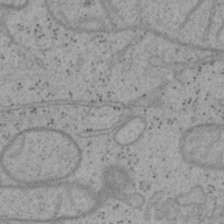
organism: Human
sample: HeLa cells